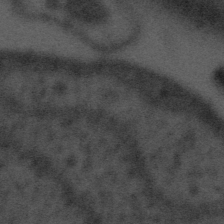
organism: Tuwongella immobilis